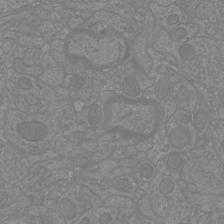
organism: Mouse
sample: Cortical neurons